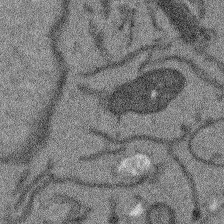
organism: Arabidopsis thaliana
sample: Root tip